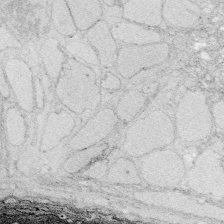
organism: Zebrafish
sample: Whole-Brain